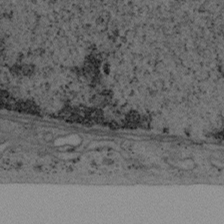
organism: Human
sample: HeLa cells